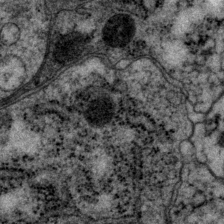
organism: P. pacificus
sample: Pharynx